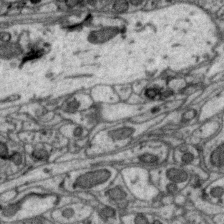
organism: Zebra finch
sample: Brain